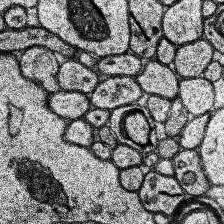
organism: Human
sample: Temporal Lobe